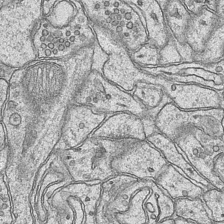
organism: Mouse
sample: CA1 Hippocampus